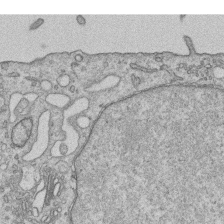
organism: Human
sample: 1205lu cells